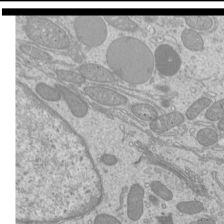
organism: Mouse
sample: Cilia; mouse epididymis